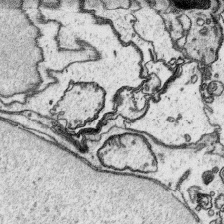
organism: Platynereis dumerilii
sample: Parapodia